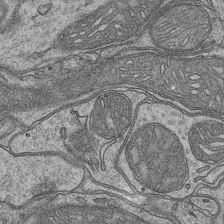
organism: Mouse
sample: CA1 Hippocampus